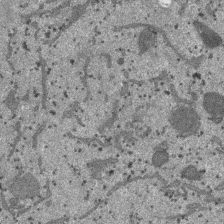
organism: Human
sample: Lung epithelial cells infected with SARS-CoV-2